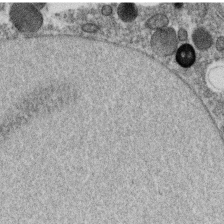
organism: C. elegans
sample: C. elegans oocyte; sperm cells